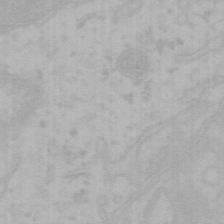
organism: Mouse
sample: Choroid plexus